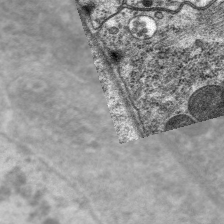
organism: C. elegans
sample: Pharynx